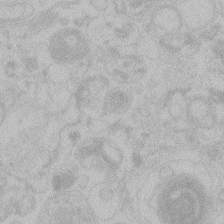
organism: Zebrafish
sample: Macrophage infected with Toxoplasma gondii